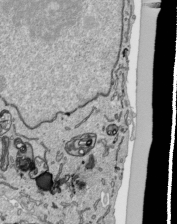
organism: Human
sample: Mitochondria in HCT116 cells